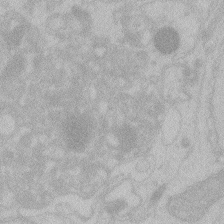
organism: Zebrafish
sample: Macrophage infected with Toxoplasma gondii